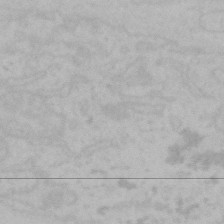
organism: Mouse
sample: Choroid plexus